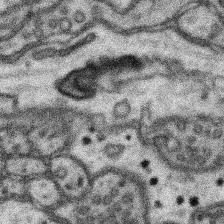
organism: Mouse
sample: Somatosensory cortex neuropil